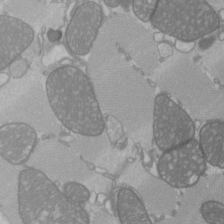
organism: C57BL Mouse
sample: Heart